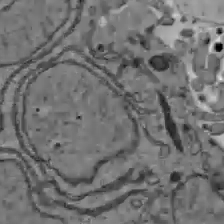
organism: C57BL Mouse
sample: Liver